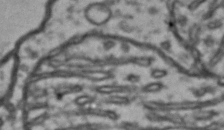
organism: Drosophila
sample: Brain